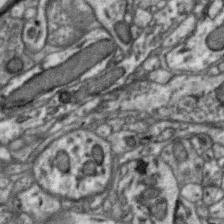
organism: Zebra finch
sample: Brain